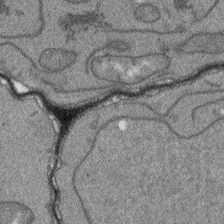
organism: Arabidopsis thaliana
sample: Root tip